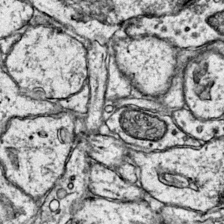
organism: Mouse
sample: Primary visual cortex